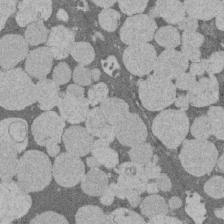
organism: Rat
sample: Salivary granule